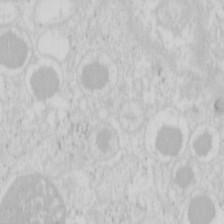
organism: Mouse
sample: Pancreas